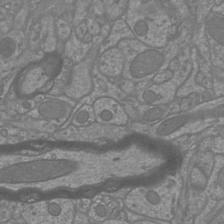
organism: Mouse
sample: Cortical neurons